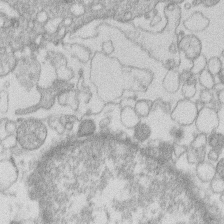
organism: Human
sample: Macrophage cells